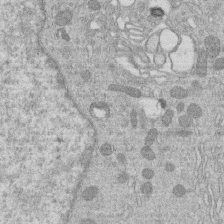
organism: Human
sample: Macrophage cells